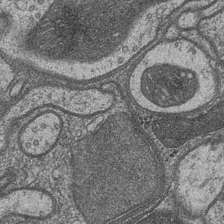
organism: Drosophila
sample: Optic medulla